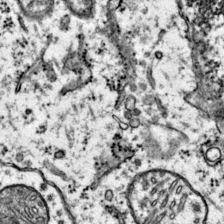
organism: Mouse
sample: Primary visual cortex